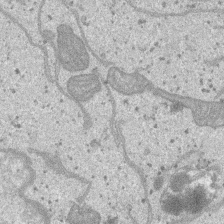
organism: Human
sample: Lung epithelial cells infected with SARS-CoV-2